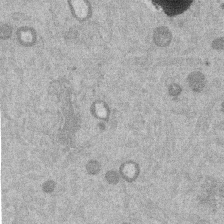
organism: Mouse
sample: Dividing mouse embryo 1 cell stage